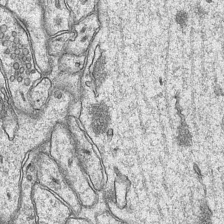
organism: Mouse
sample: CA1 Hippocampus